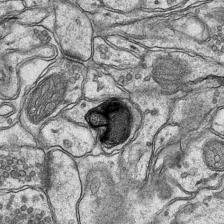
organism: Mouse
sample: CA1 Hippocampus